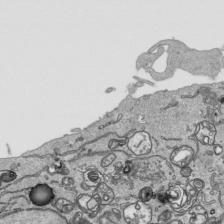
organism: Human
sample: Mitochondria in HCT116 cells